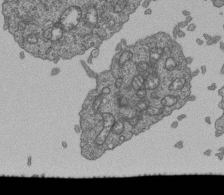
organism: Human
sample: Retinal organoid Rod and Cone cells